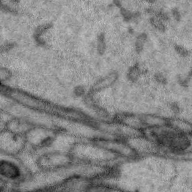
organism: Zebra finch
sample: Brain